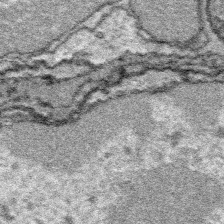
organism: Platynereis dumerilii